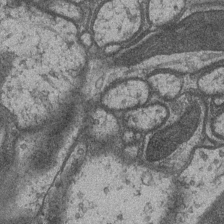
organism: Drosophila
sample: Optic medulla